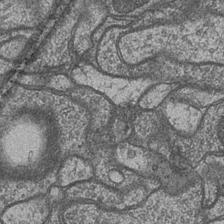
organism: Drosophila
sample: Optic medulla